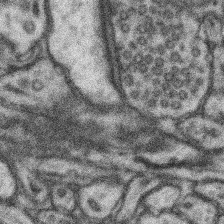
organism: Mouse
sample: Somatosensory cortex neuropil